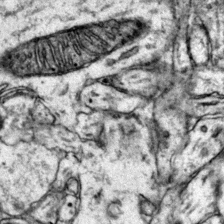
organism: Mouse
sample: Primary visual cortex